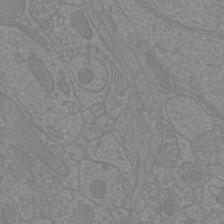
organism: Mouse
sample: Cortical neurons